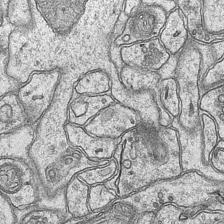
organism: Mouse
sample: CA1 Hippocampus